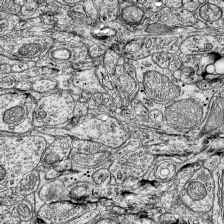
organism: Mouse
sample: Visual Cortex